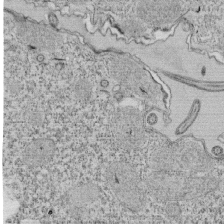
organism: Tetrahymena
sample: Cilia in tetrahymena